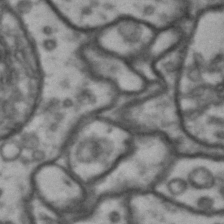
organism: Drosophila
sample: Brain